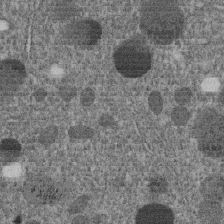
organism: C. elegans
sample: C. elegans embryo early stage